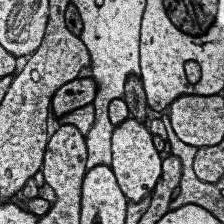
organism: Human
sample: Temporal Lobe